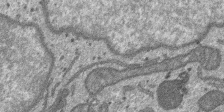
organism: Human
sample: Lung epithelial cells infected with SARS-CoV-2